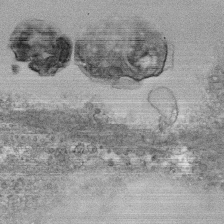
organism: Human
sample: CRL-1474